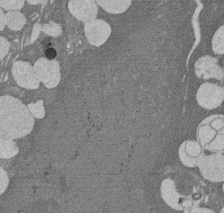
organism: Rat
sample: Salivary granule